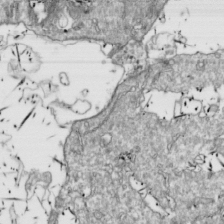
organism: Drosophila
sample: Cell division; meiosis; drosophila spermatocytes